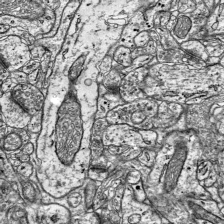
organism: Mouse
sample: Visual Cortex